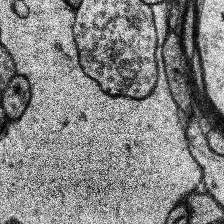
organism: Human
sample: Temporal Lobe